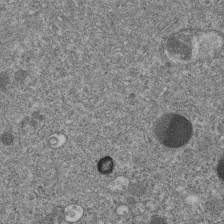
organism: C. elegans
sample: C. elegans embryo early stage